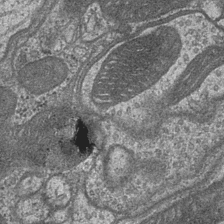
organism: Drosophila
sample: Optic medulla